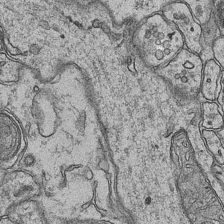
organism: Mouse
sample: CA1 Hippocampus